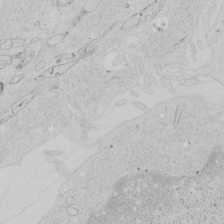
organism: Human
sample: Mitochondria in HCT116 cells